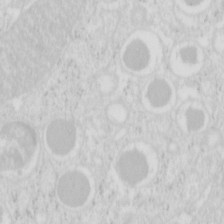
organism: Mouse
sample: Pancreas